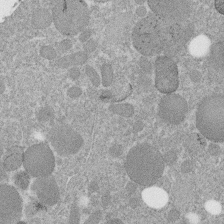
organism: C. elegans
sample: C. elegans embryo early stage